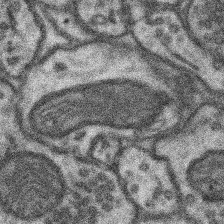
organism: Mouse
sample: Somatosensory cortex neuropil